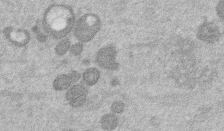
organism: Mouse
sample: Dividing mouse embryo 1 cell stage